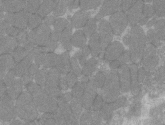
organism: C57BL Mouse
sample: Tibialis anterior muscle cell